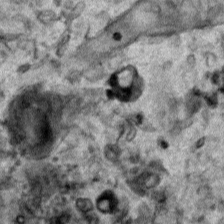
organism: Human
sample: Mitochondria in HCT116 cells